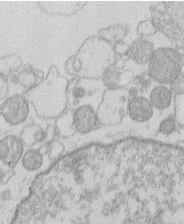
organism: Human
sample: Macrophage cells